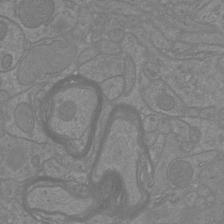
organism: Mouse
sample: Cortical neurons